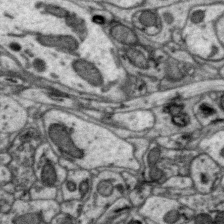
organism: Zebra finch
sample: Brain